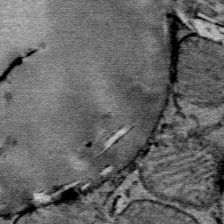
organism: Mouse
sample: Mouse Salivary gland